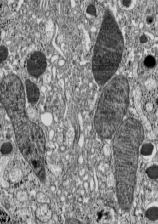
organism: C57BL Mouse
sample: Pancreatic islet